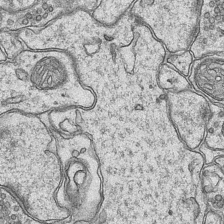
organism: Mouse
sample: CA1 Hippocampus